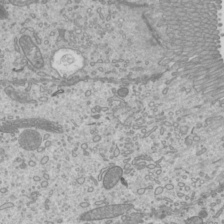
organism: Mouse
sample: Cilia; mouse epididymis